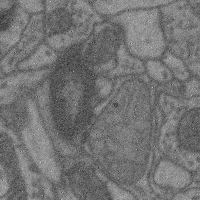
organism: Mouse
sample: Cerebral cortex